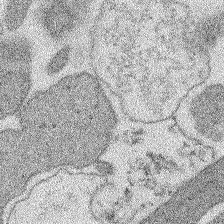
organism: Human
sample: HeLa cells